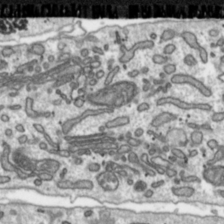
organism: Toxoplasma gondii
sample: Parasites in a vacuole inside a host cell